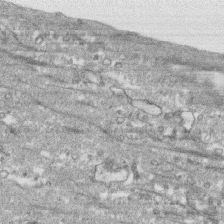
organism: Human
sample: CRL-1474